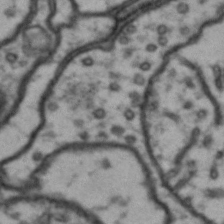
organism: Drosophila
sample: Brain